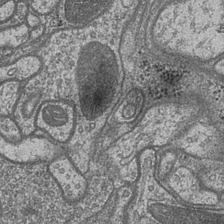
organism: Drosophila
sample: Optic medulla